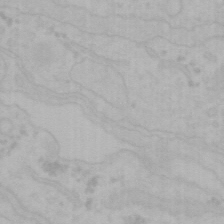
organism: Mouse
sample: Choroid plexus